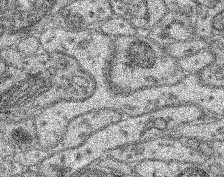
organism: Mouse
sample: Retina